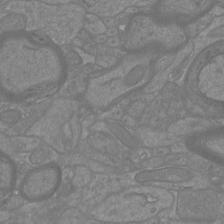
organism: Mouse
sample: Cortical neurons